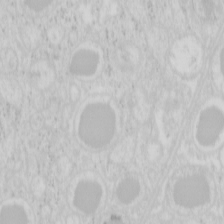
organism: Mouse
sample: Pancreas